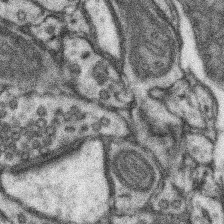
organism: Mouse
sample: Somatosensory cortex neuropil